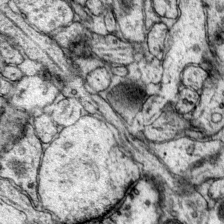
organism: Mouse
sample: Primary visual cortex